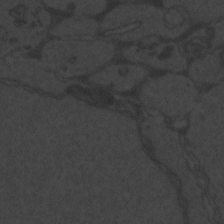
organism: Zebrafish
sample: Macrophage infected with Toxoplasma gondii